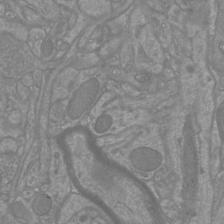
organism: Mouse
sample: Cortical neurons